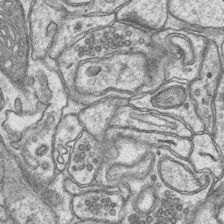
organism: Mouse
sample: CA1 Hippocampus